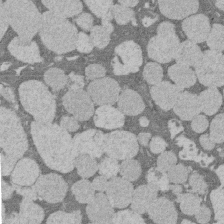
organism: Rat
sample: Salivary granule